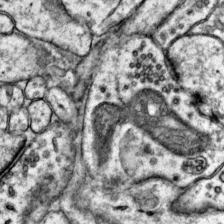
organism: Mouse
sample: Primary visual cortex